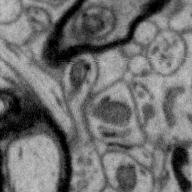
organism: Zebra finch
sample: Brain